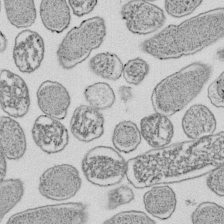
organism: E. coli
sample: Bacterial nucleoid